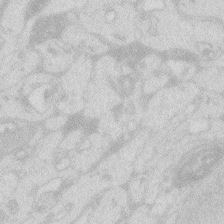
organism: Zebrafish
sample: Macrophage